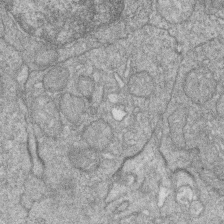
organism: Zebrafish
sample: Cilia; retinal pigment epithelium